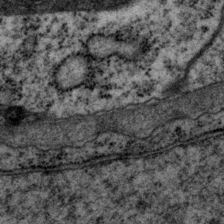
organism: P. pacificus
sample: Pharynx